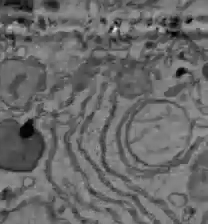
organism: C57BL Mouse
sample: Liver